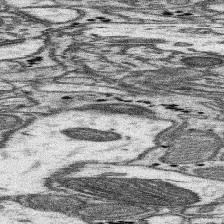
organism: Mouse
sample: Somatosensory cortex neuropil